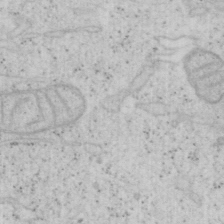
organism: Human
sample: HeLa cells